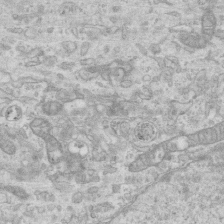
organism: Mouse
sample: Centriole in ependymal cells